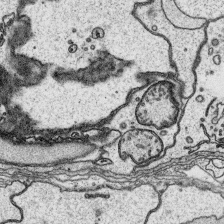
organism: Platynereis dumerilii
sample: Parapodia